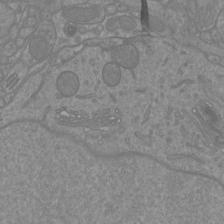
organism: Mouse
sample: Cortical neurons